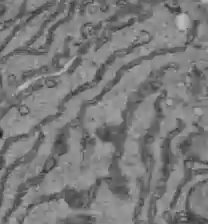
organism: C57BL Mouse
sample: Liver